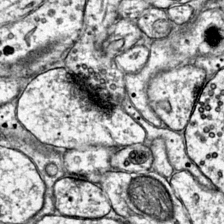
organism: Mouse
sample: Primary visual cortex